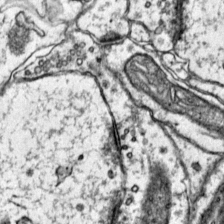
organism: Mouse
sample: Primary visual cortex